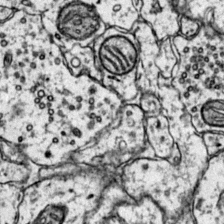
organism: Mouse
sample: Primary visual cortex